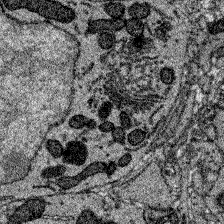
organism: Zebrafish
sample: Larval olfactory bulb